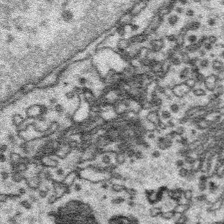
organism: Platynereis dumerilii